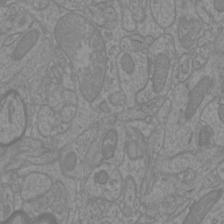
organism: Mouse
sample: Cortical neurons